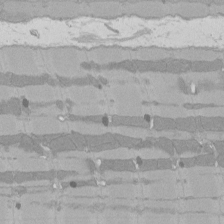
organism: Rat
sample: Left ventricle